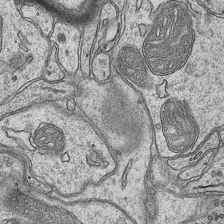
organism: Mouse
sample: CA1 Hippocampus